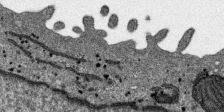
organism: Human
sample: Lung epithelial cells, uninfected (mock) control